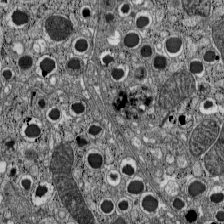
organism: C57BL Mouse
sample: Pancreatic islet